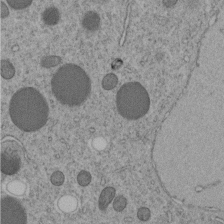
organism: C. elegans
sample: C. elegans embryo early stage